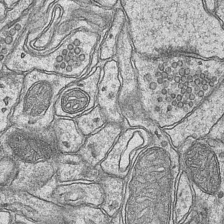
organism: Mouse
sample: CA1 Hippocampus